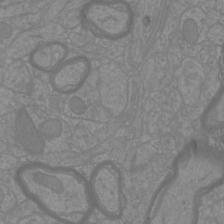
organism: Mouse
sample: Cortical neurons